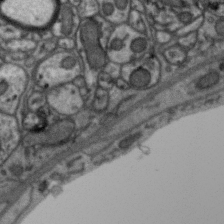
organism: Zebra finch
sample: Brain